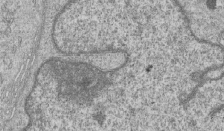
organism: Human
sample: MDA-MB-231 cells